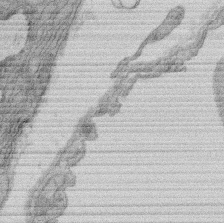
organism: Rat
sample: Salivary granule